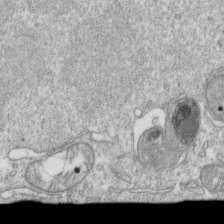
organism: Mouse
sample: Activated OT-1 CD8+ T cells